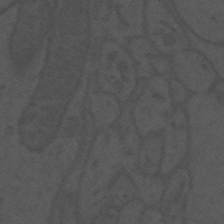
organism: Mouse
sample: Suprachiasmatic nucleus